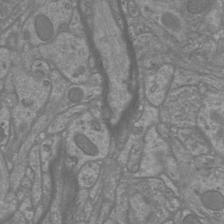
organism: Mouse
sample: Cortical neurons